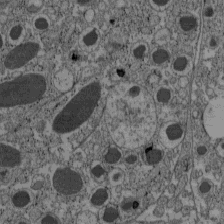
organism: C57BL Mouse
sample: Pancreatic islet